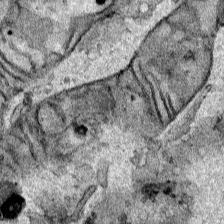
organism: Human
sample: Mitochondria in HCT116 cells